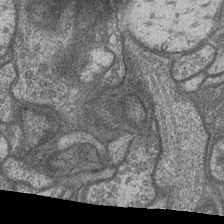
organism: Drosophila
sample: Optic medulla